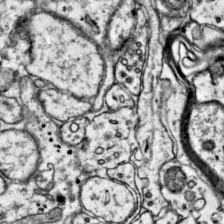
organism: Mouse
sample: Primary visual cortex